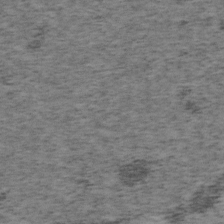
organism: Mouse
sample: OT-I killer T cells with ID8 ovarian cancer cells